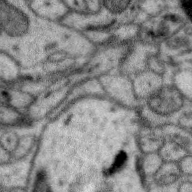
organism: Zebra finch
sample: Brain